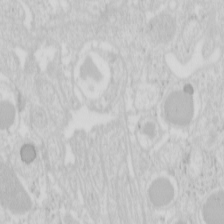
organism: Mouse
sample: Pancreas